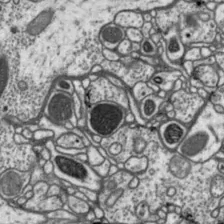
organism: Drosophila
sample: Protocerebral bridge